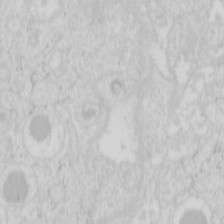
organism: Mouse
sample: Pancreas